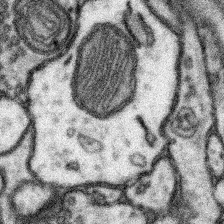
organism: Mouse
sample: Somatosensory cortex neuropil